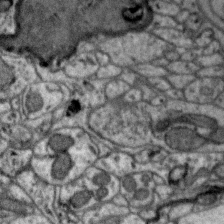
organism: Zebra finch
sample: Brain